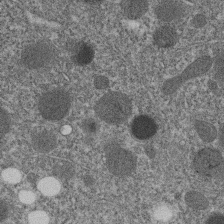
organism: C. elegans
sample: C. elegans embryo early stage